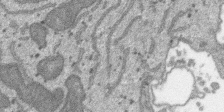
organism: Human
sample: Lung epithelial cells infected with SARS-CoV-2